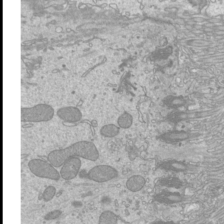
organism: Mouse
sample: Cilia; mouse epididymis